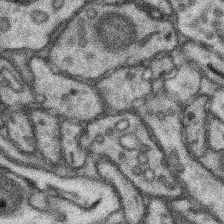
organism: Mouse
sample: Somatosensory cortex neuropil